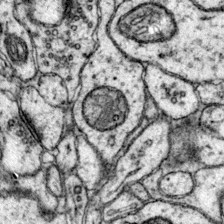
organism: Mouse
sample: Primary visual cortex